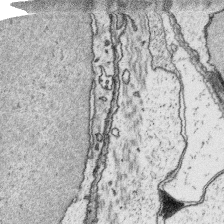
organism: Platynereis dumerilii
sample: Parapodia